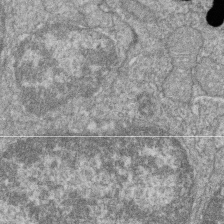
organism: Zebrafish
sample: Cilia; retinal pigment epithelium